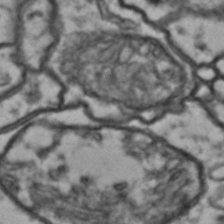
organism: Drosophila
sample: Brain